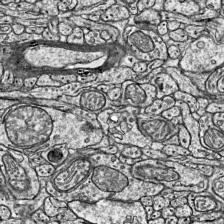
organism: Mouse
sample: Visual Cortex